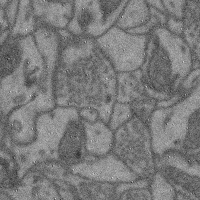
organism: Mouse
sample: Cerebral cortex